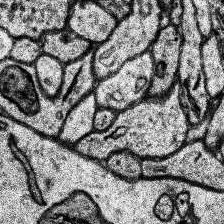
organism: Human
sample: Temporal Lobe